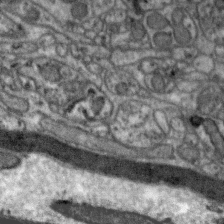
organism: Zebra finch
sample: Brain